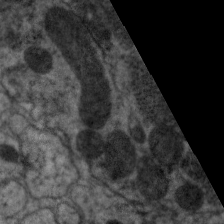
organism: C. elegans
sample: Pharynx